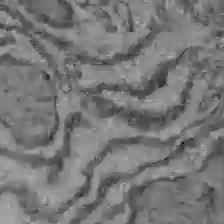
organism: C57BL Mouse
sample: Liver